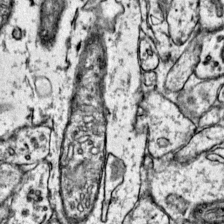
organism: Mouse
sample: Primary visual cortex